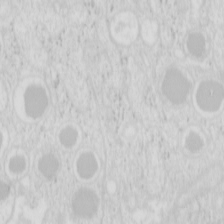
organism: Mouse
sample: Pancreas